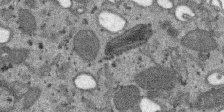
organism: Human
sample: Lung epithelial cells infected with SARS-CoV-2